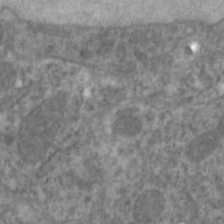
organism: C. elegans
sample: Pharynx